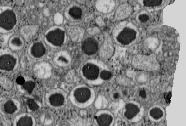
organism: C57BL Mouse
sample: Pancreatic islet